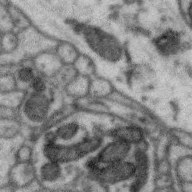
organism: Zebra finch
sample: Brain